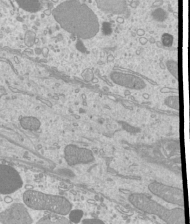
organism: Mouse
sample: Cilia; mouse epididymis